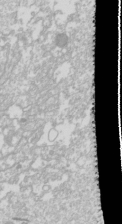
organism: Drosophila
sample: Cell division; meiosis; drosophila spermatocytes